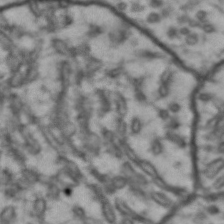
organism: Drosophila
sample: Brain